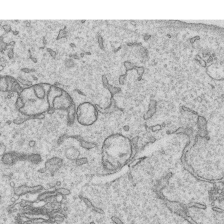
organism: Human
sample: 1205lu cells